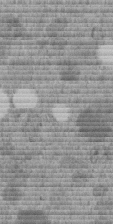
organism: C. elegans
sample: C. elegans embryo early stage